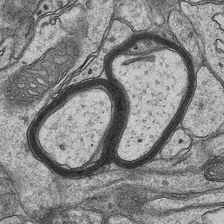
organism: Mouse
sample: CA1 Hippocampus